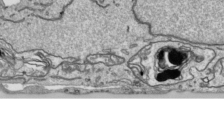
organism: Human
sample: Mitochondria in HCT116 cells